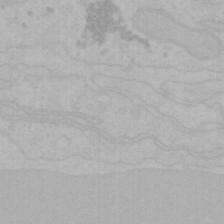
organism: Mouse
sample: Choroid plexus